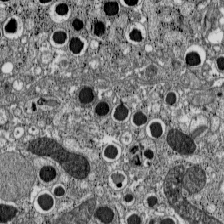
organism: C57BL Mouse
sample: Pancreatic islet